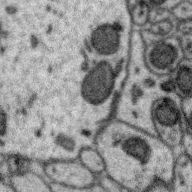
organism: Zebra finch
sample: Brain